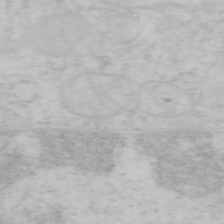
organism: Mouse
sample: OT-I killer T cells with ID8 ovarian cancer cells